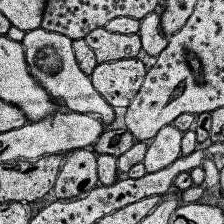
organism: Human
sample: Temporal Lobe